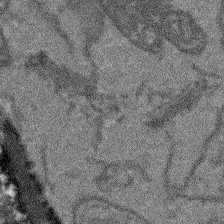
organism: Arabidopsis thaliana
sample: Root tip